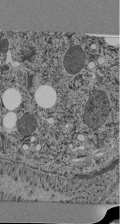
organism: C. elegans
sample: C. elegans pharynx